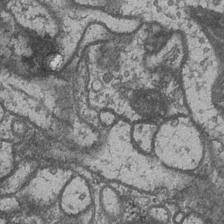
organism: Drosophila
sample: Optic medulla